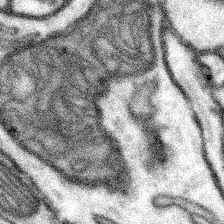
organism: Mouse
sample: Somatosensory cortex neuropil